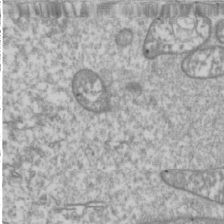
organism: Drosophila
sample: Cell division; meiosis; drosophila spermatocytes